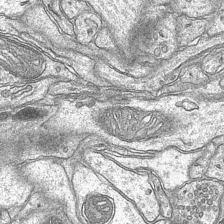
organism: Mouse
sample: CA1 Hippocampus